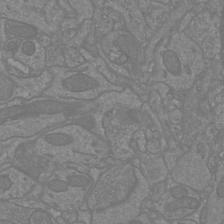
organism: Mouse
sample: Cortical neurons